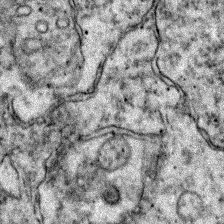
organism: Zebrafish